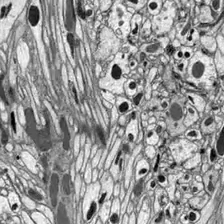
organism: Drosophila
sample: Optic lobe